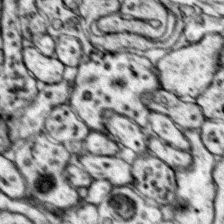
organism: Mouse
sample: Primary visual cortex